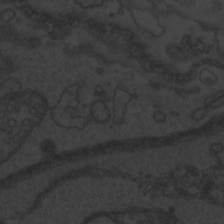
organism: Zebrafish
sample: Macrophage infected with Toxoplasma gondii